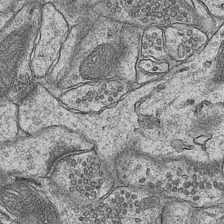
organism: Mouse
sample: CA1 Hippocampus